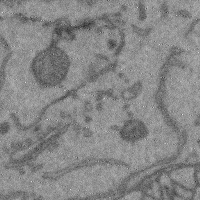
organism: Mouse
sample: Cerebral cortex